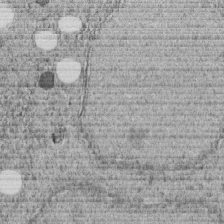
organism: C. elegans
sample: C. elegans embryo early stage